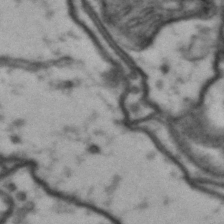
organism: Drosophila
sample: Brain